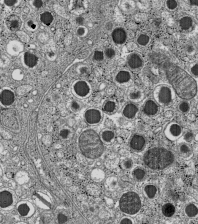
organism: C57BL Mouse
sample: Pancreatic islet